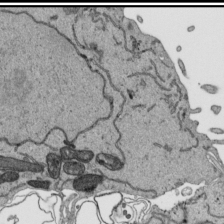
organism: Human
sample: Mitochondria in HCT116 cells